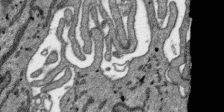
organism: Human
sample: Lung epithelial cells, uninfected (mock) control